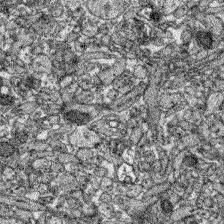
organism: Zebrafish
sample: Larval olfactory bulb